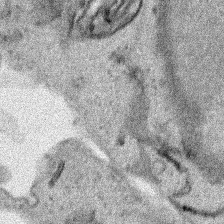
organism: Human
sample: Mitochondria in HCT116 cells